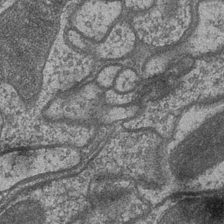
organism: Drosophila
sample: Optic medulla